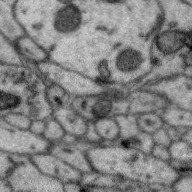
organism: Zebra finch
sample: Brain